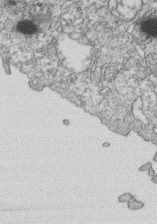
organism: Human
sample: HeLa cell HIV synapse